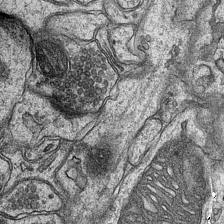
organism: Mouse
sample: CA1 Hippocampus